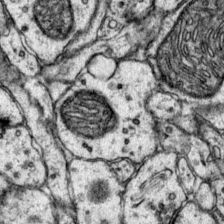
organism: Mouse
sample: Primary visual cortex